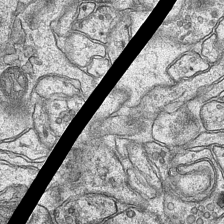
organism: Mouse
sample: CA1 Hippocampus